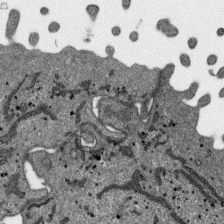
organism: Human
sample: Lung epithelial cells, uninfected (mock) control